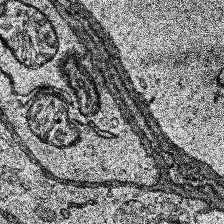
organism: Human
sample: Temporal Lobe